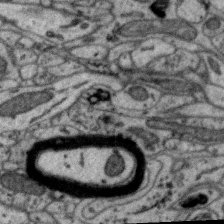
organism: Zebra finch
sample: Brain